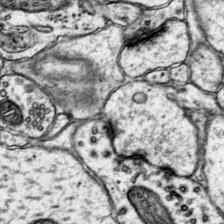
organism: Mouse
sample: Primary visual cortex